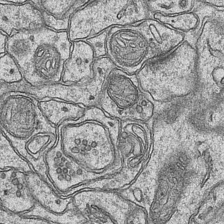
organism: Mouse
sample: CA1 Hippocampus